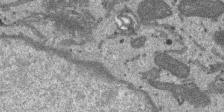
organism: Human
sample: Lung epithelial cells infected with SARS-CoV-2